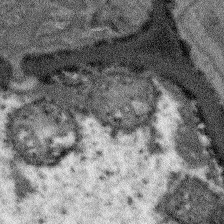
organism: Arabidopsis thaliana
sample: Root tip